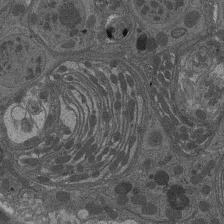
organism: Drosophila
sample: Antenna